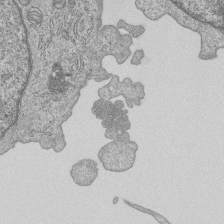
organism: Human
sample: MDA-MB-231 cells